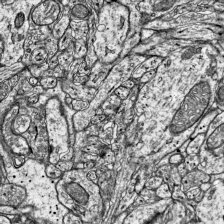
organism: Mouse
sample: Visual Cortex